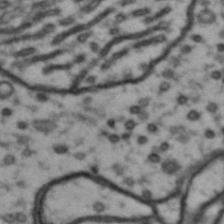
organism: Drosophila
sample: Brain